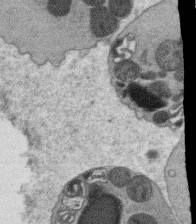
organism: C. elegans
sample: C. elegans oocyte; sperm cells